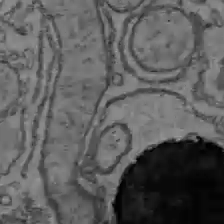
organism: C57BL Mouse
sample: Liver